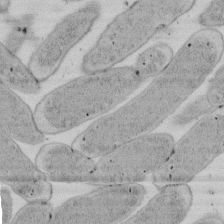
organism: E. coli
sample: Bacterial nucleoid